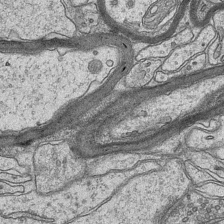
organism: Mouse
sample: CA1 Hippocampus